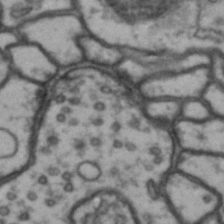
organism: Drosophila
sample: Brain